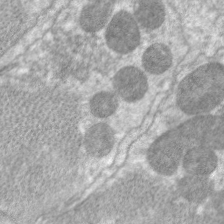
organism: C. elegans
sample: Pharynx